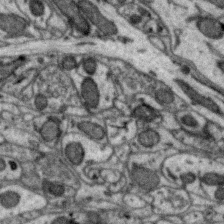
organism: Zebra finch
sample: Brain